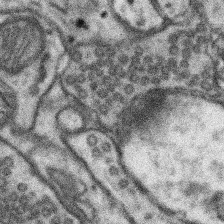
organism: Mouse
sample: Somatosensory cortex neuropil